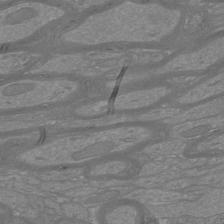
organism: Mouse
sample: Cortical neurons